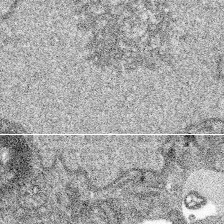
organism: Spongilla lacustris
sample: Multiple